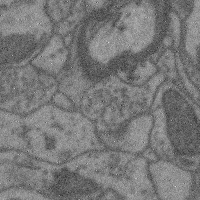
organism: Mouse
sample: Cerebral cortex